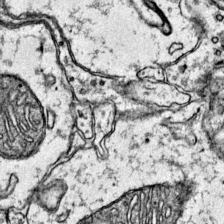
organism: Mouse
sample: Primary visual cortex